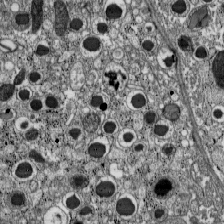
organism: C57BL Mouse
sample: Pancreatic islet